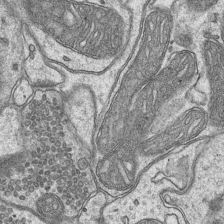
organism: Mouse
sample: CA1 Hippocampus